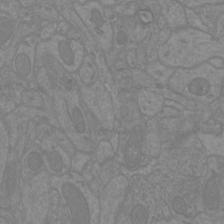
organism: Mouse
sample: Cortical neurons